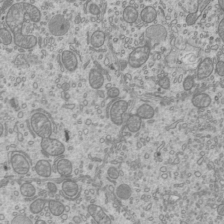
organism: Mouse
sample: Cilia; mouse epididymis